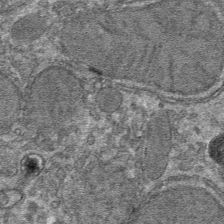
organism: Mouse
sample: Mouse hepatocytes